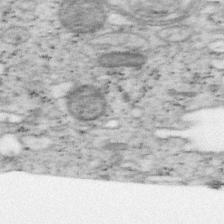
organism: Mouse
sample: OT-I killer T cells with ID8 ovarian cancer cells